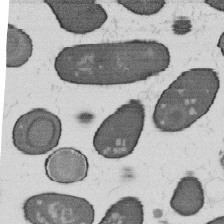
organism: B. subtilis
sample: Bacterial spore